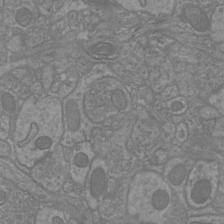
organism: Mouse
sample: Cortical neurons